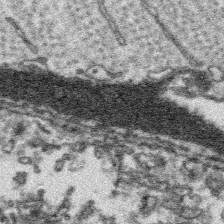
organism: Platynereis dumerilii